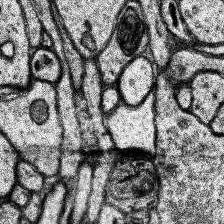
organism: Human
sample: Temporal Lobe